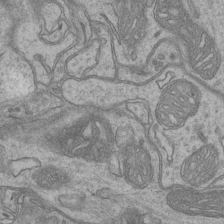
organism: Mouse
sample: CA1 Hippocampus